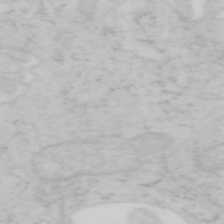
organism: Mouse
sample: OT-I killer T cells with ID8 ovarian cancer cells